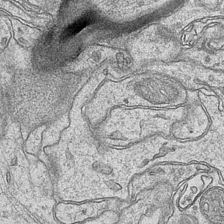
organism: Mouse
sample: CA1 Hippocampus